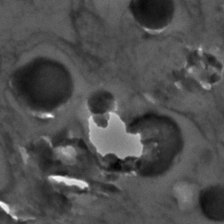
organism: Zebrafish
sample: Zebrafish embryo